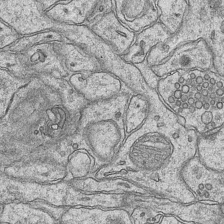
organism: Mouse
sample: CA1 Hippocampus